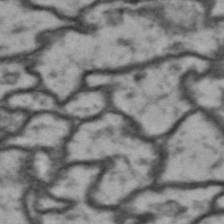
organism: Drosophila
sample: Brain